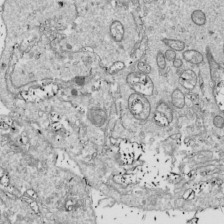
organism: Drosophila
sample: Cell division; meiosis; drosophila spermatocytes